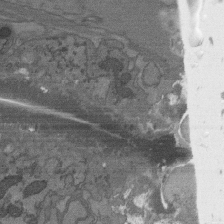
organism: C. elegans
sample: AFD neurons C. elegans